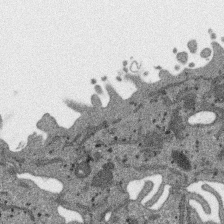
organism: Human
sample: Lung epithelial cells infected with SARS-CoV-2